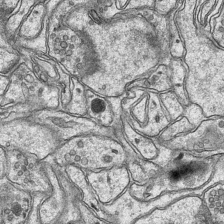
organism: Mouse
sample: CA1 Hippocampus